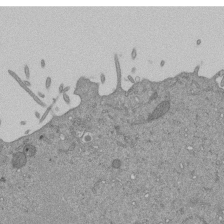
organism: Mouse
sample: ED-1 cell nuclei; centrioles